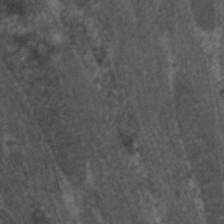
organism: C. elegans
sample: Pharynx